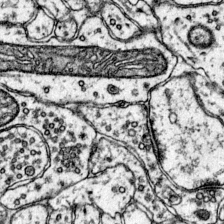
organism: Mouse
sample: Primary visual cortex